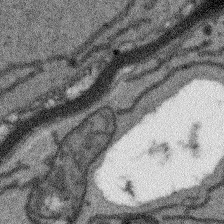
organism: Arabidopsis thaliana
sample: Root tip